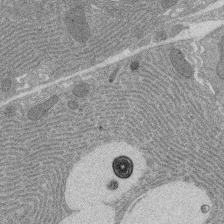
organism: Rat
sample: Salivary granule